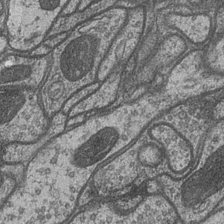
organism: Drosophila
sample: Optic medulla